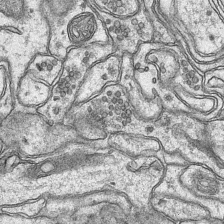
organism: Mouse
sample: CA1 Hippocampus